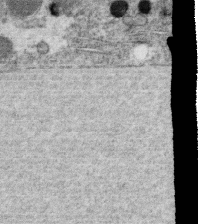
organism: C. elegans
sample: C. elegans oocyte; sperm cells